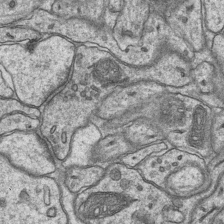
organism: Mouse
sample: CA1 Hippocampus